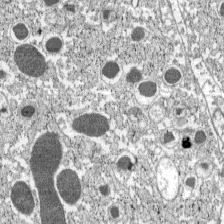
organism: C57BL Mouse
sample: Pancreatic islet